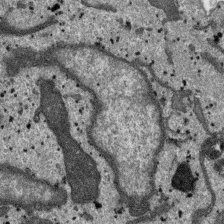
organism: Human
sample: Lung epithelial cells, uninfected (mock) control